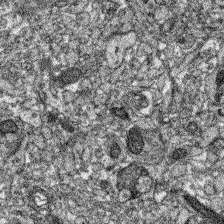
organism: Zebrafish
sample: Larval olfactory bulb